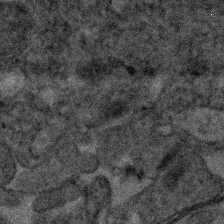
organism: Human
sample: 1205lu cells